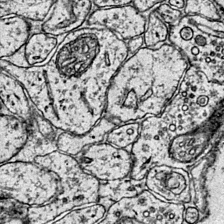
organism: Mouse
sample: Primary visual cortex